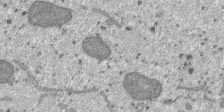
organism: Human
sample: Lung epithelial cells infected with SARS-CoV-2